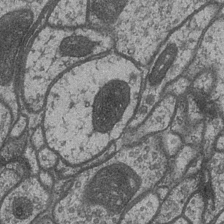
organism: Drosophila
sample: Optic medulla